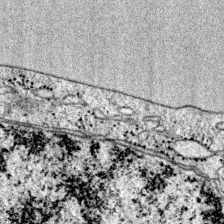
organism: Human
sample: HeLa cells